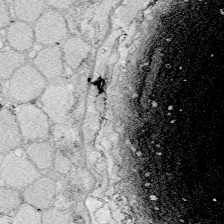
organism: Zebrafish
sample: Whole-Brain